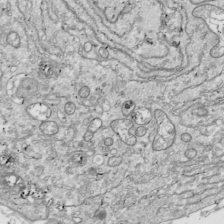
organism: Drosophila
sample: Cell division; meiosis; drosophila spermatocytes